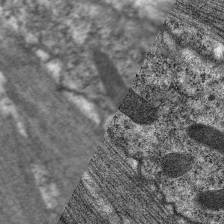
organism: C. elegans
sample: Pharynx